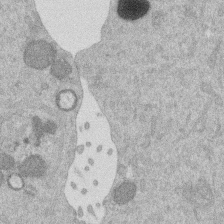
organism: Mouse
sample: Dividing mouse embryo 1 cell stage